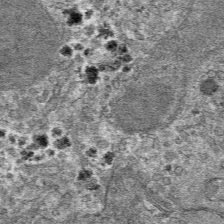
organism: Mouse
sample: Mouse hepatocytes